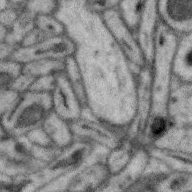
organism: Zebra finch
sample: Brain